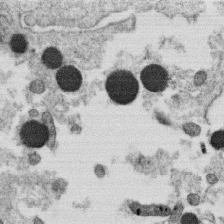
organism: C. elegans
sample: C. elegans oocyte; sperm cells